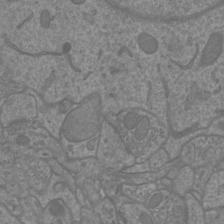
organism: Mouse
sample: Cortical neurons